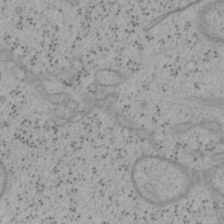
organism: Human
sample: HeLa cells